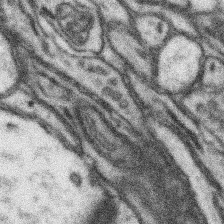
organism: Mouse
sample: Somatosensory cortex neuropil